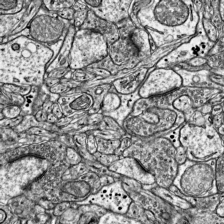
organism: Mouse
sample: Visual Cortex